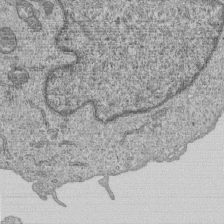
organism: Human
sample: MDA-MB-231 cells